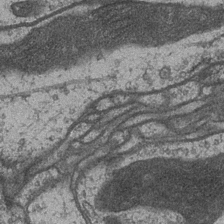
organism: Drosophila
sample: Optic medulla